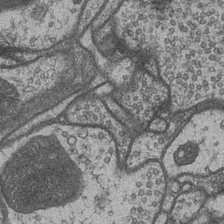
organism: Drosophila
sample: Optic medulla